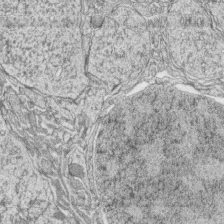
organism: Zebrafish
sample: synaptic ribbons in rod cells and cone cells